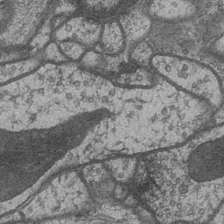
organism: Drosophila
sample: Optic medulla